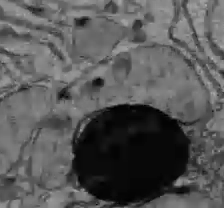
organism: C57BL Mouse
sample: Liver